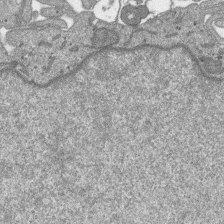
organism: Human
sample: Lung epithelial cells infected with SARS-CoV-2